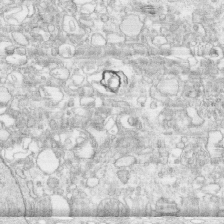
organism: Human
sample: CRL-1474